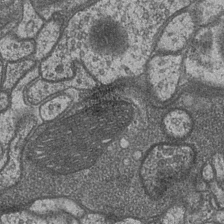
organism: Drosophila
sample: Optic medulla